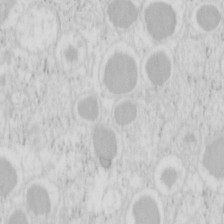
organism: Mouse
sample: Pancreas